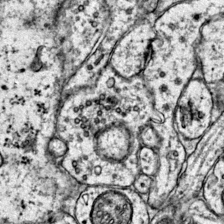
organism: Mouse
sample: Primary visual cortex